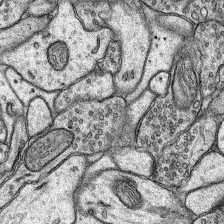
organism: Rat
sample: Hippocampus